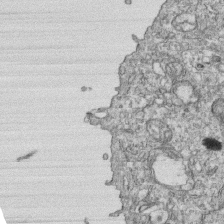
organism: Human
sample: HeLa cell HIV synapse